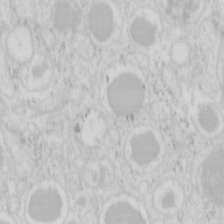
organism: Mouse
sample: Pancreas